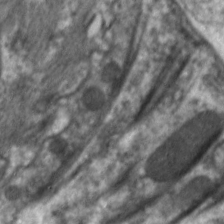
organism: C. elegans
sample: Pharynx